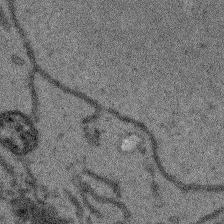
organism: Arabidopsis thaliana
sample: Root tip